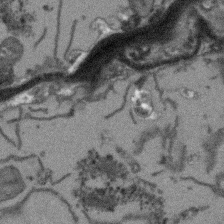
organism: Arabidopsis thaliana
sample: Root tip